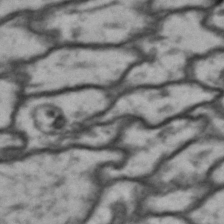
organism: Drosophila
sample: Brain